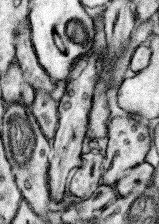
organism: Mouse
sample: Somatosensory cortex neuropil